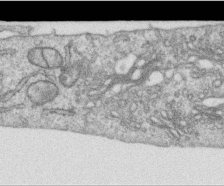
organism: Human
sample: Centriole in RPE cells